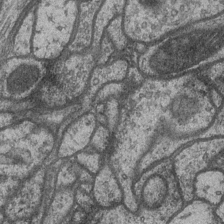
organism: Drosophila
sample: Optic medulla